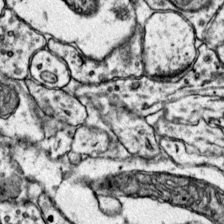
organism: Mouse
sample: Primary visual cortex